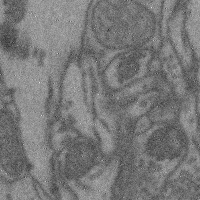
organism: Mouse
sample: Cerebral cortex